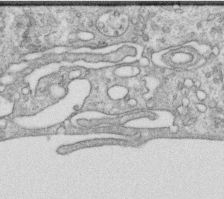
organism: Human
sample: Centriole in RPE cells